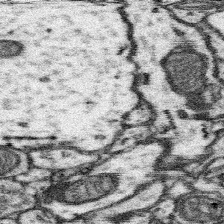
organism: Mouse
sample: Somatosensory cortex neuropil